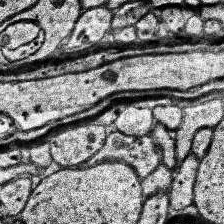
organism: Human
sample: Temporal Lobe